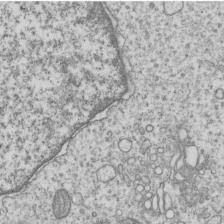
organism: Human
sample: MDA-MB-231 cells